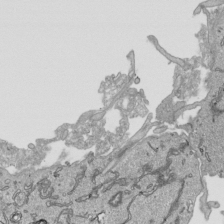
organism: Human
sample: Mitochondria in HCT116 cells